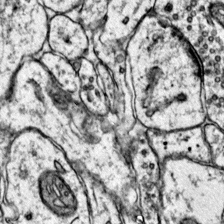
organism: Mouse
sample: Primary visual cortex